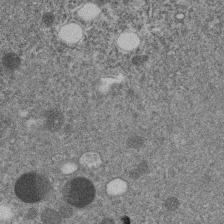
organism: C. elegans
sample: C. elegans embryo early stage